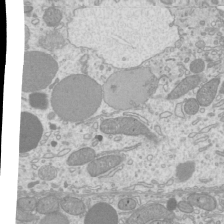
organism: Mouse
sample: Cilia; mouse epididymis